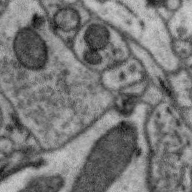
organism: Zebra finch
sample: Brain